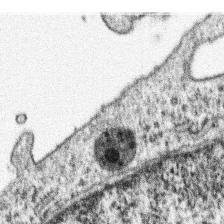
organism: Human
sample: HeLa cells